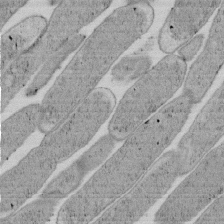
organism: E. coli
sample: Bacterial nucleoid